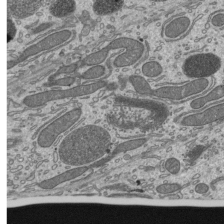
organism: Mouse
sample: Mouse epididymis efferent ductule cilia